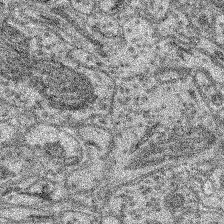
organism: Mouse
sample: Retina